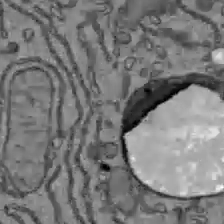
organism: C57BL Mouse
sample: Liver